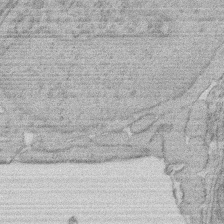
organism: Rat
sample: Salivary granule